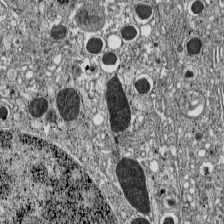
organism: C57BL Mouse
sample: Pancreatic islet